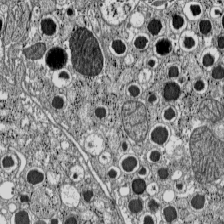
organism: C57BL Mouse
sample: Pancreatic islet